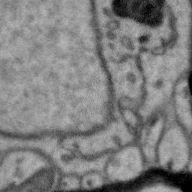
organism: Zebra finch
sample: Brain